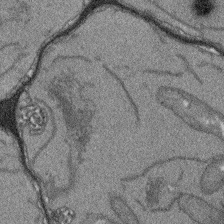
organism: Arabidopsis thaliana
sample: Root tip